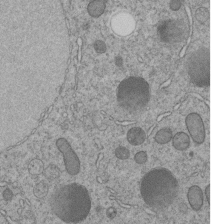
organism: C. elegans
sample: C. elegans embryo early stage